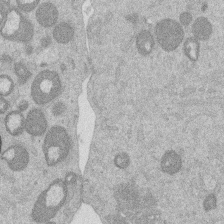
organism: Mouse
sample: Dividing mouse embryo 1 cell stage